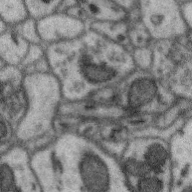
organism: Zebra finch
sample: Brain